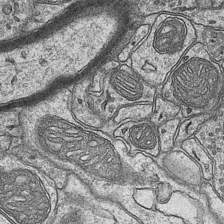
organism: Mouse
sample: CA1 Hippocampus